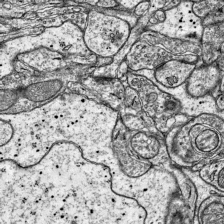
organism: Mouse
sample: Visual Cortex